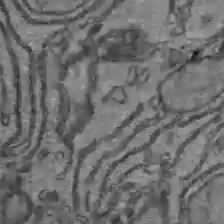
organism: C57BL Mouse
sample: Liver